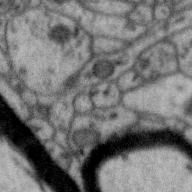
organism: Zebra finch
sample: Brain